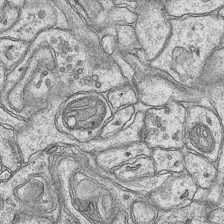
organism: Mouse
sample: CA1 Hippocampus